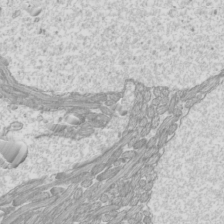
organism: Mouse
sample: Cilia; mouse epididymis